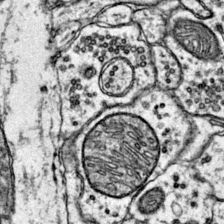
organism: Mouse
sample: Primary visual cortex